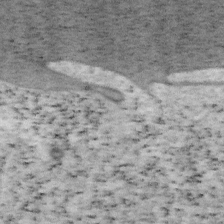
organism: Mouse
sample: OT-I killer T cells with ID8 ovarian cancer cells